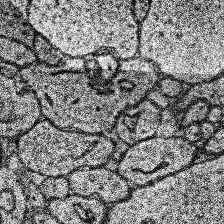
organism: Human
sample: Temporal Lobe